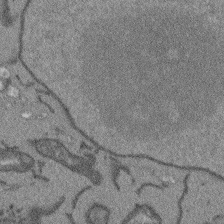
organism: Arabidopsis thaliana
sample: Root tip